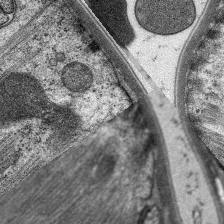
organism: C. elegans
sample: Pharynx